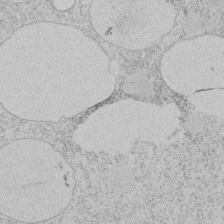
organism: Tetrahymena